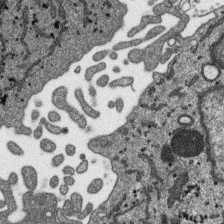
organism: Human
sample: Lung epithelial cells infected with SARS-CoV-2